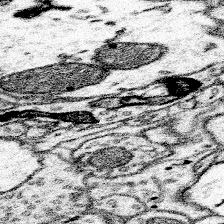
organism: Mouse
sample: Somatosensory cortex neuropil